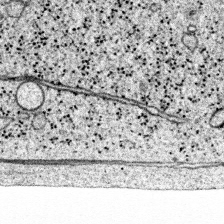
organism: Human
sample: HeLa cells